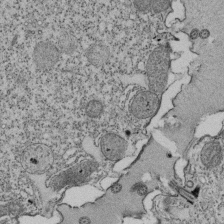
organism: Tetrahymena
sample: Cilia in tetrahymena